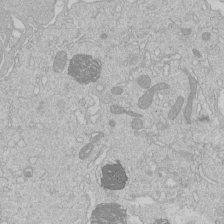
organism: Human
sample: Macrophage cells